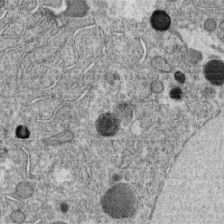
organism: C. elegans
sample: C. elegans oocyte; sperm cells